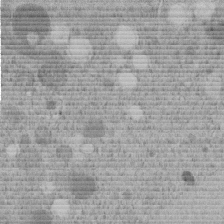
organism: C. elegans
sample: C. elegans embryo early stage